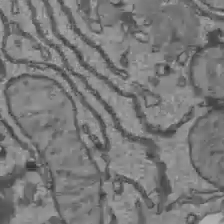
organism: C57BL Mouse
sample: Liver